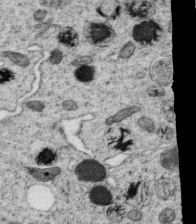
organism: C. elegans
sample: C. elegans oocyte; sperm cells